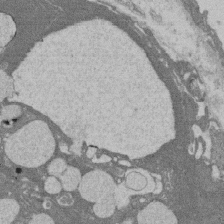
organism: Rat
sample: Salivary granule